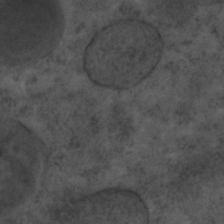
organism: C. elegans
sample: C. elegans embryo